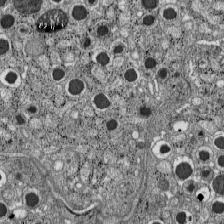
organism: C57BL Mouse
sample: Pancreatic islet